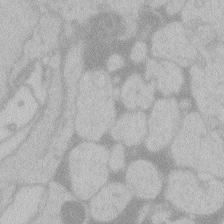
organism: Zebrafish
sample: Macrophage infected with Toxoplasma gondii